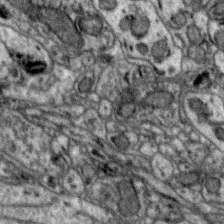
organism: Zebra finch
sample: Brain